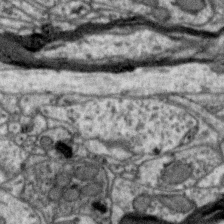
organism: Zebra finch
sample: Brain